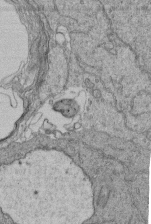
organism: Human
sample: Retinal organoid Rod and Cone cells